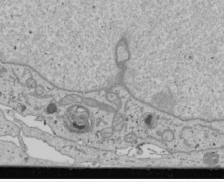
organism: Human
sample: Mitochondria in U2OS cells